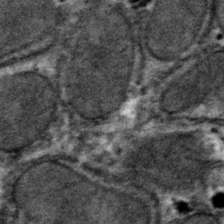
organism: Mouse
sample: Mouse hepatocytes